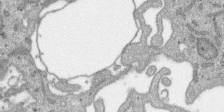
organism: Human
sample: Lung epithelial cells infected with SARS-CoV-2